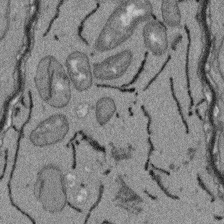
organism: Arabidopsis thaliana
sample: Root tip